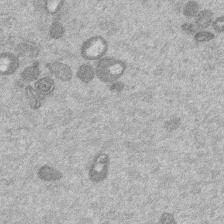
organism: Mouse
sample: Dividing mouse embryo 1 cell stage